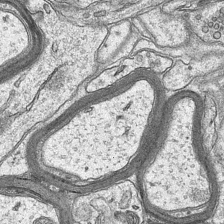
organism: Mouse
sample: CA1 Hippocampus